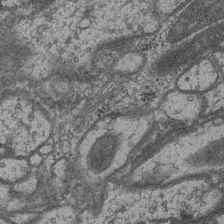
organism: Drosophila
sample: Optic medulla